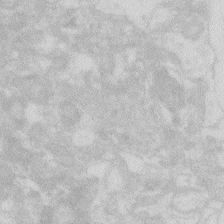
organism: Zebrafish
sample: Macrophage